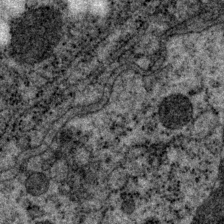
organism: P. pacificus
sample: Pharynx